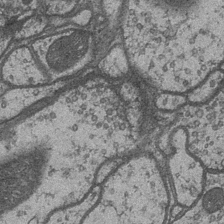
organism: Drosophila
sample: Optic medulla